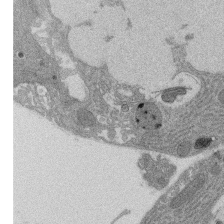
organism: Rat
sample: Salivary granule